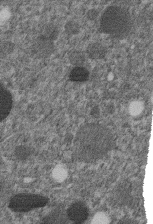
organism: C. elegans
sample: C. elegans embryo early stage